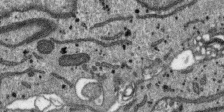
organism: Human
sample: Lung epithelial cells, uninfected (mock) control